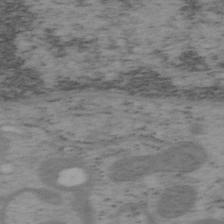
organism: Mouse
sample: OT-I killer T cells with ID8 ovarian cancer cells